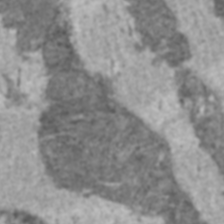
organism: C57BL Mouse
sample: Heart